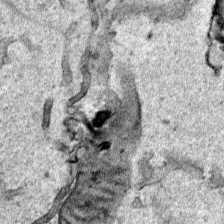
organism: Human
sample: Mitochondria in HCT116 cells